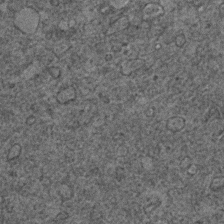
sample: Trachea